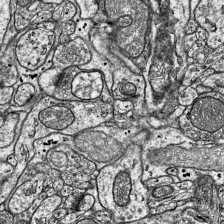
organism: Mouse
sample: Visual Cortex